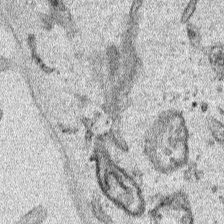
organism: Human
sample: Mitochondria in HCT116 cells